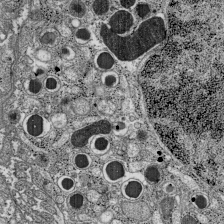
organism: C57BL Mouse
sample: Pancreatic islet